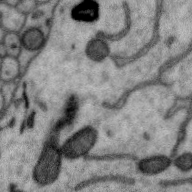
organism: Zebra finch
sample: Brain